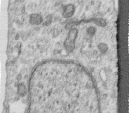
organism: Human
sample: Centriole in RPE cells